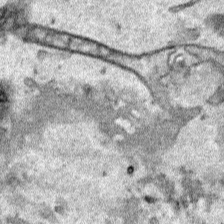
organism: Human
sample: Mitochondria in HCT116 cells